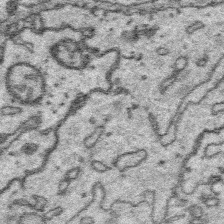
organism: Platynereis dumerilii